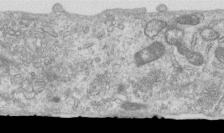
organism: Human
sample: Centriole in RPE cells